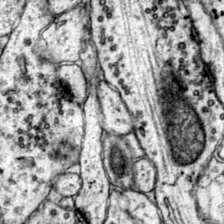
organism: Mouse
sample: Primary visual cortex